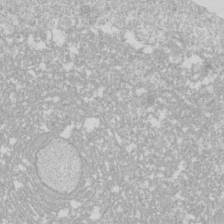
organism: Drosophila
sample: Cell division; meiosis; drosophila spermatocytes